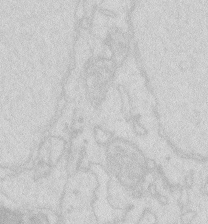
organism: Zebrafish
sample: Macrophage